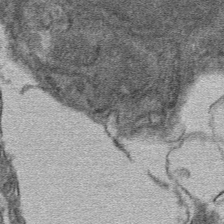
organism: Mouse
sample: Mouse hepatocytes